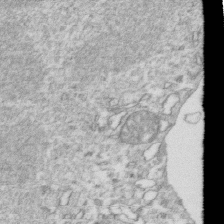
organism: Mouse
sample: Activated OT-1 CD8+ T cells